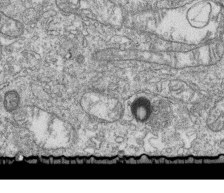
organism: Human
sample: HeLa cell HIV synapse